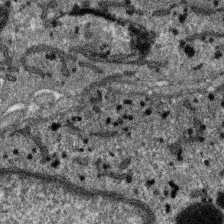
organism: Human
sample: Lung epithelial cells infected with SARS-CoV-2